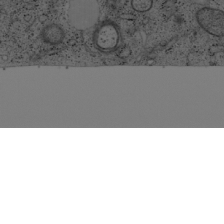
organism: African green monkey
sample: COS-7 cells